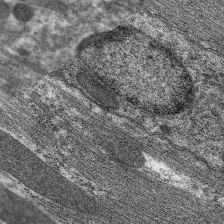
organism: C. elegans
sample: Pharynx